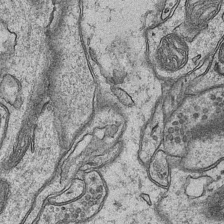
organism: Mouse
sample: CA1 Hippocampus